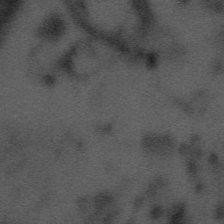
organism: Tuwongella immobilis